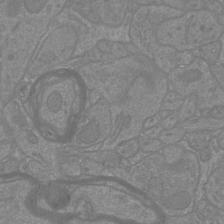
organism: Mouse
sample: Cortical neurons